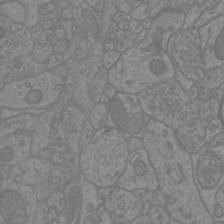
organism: Mouse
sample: Cortical neurons